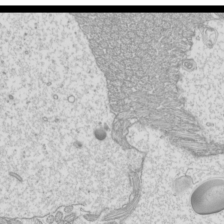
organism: Mouse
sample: Cilia; mouse epididymis